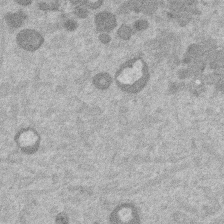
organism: Mouse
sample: Dividing mouse embryo 1 cell stage